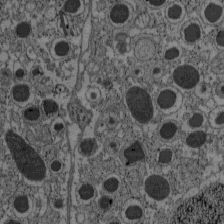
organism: C57BL Mouse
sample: Pancreatic islet